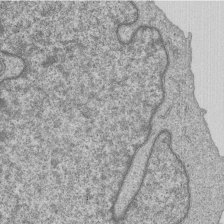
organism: Human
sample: MDA-MB-231 cells